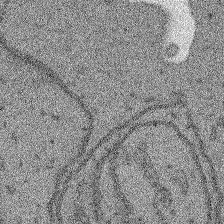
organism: Human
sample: HeLa cells